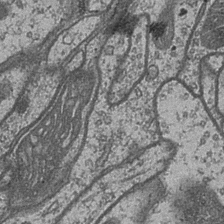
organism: Drosophila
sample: Optic medulla